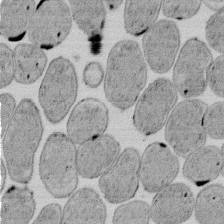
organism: E. coli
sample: Bacterial nucleoid